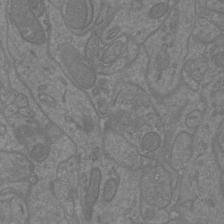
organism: Mouse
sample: Cortical neurons